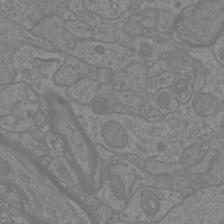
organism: Mouse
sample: Cortical neurons